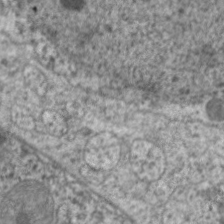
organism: C. elegans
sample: Pharynx